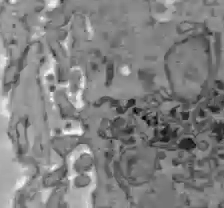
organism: C57BL Mouse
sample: Liver